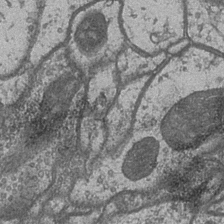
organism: Drosophila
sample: Optic medulla